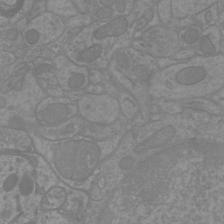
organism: Mouse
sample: Cortical neurons